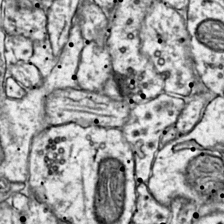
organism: Mouse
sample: Primary visual cortex